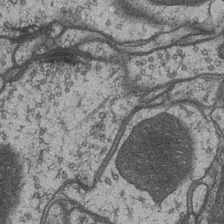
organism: Drosophila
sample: Optic medulla